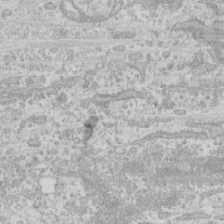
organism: Human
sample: CRL-1474